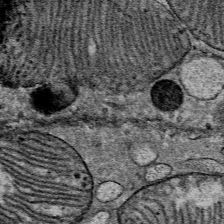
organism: Mouse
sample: Mouse Salivary gland